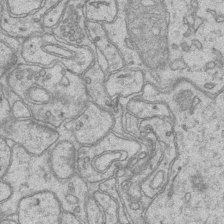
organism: Mouse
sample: CA1 Hippocampus